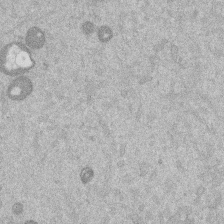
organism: Mouse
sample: Dividing mouse embryo 1 cell stage